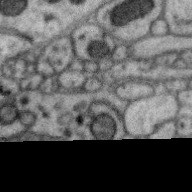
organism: Zebra finch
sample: Brain